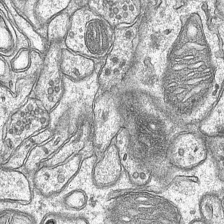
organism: Mouse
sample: CA1 Hippocampus